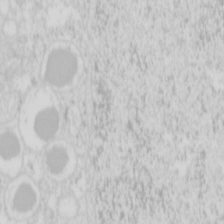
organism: Mouse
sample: Pancreas